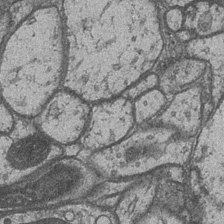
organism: Drosophila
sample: Optic medulla